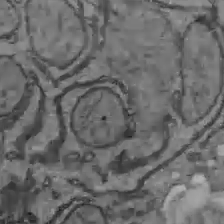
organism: C57BL Mouse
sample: Liver